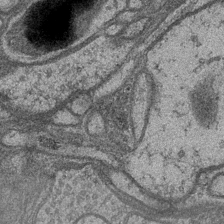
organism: Drosophila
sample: Optic medulla